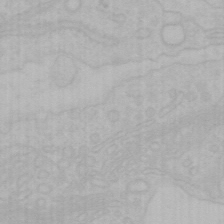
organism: Mouse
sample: Choroid plexus